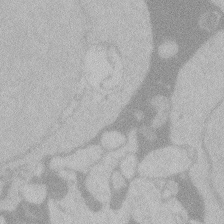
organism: Zebrafish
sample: Macrophage infected with Toxoplasma gondii